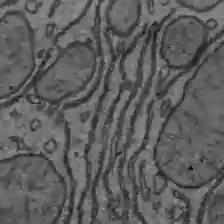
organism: C57BL Mouse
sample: Liver